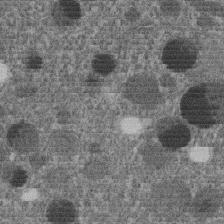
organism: C. elegans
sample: C. elegans embryo early stage